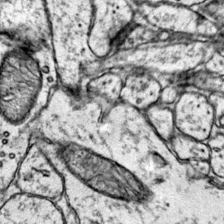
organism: Mouse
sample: Primary visual cortex